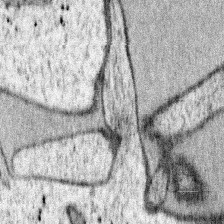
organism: Human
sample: HeLa cells